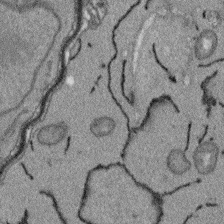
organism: Arabidopsis thaliana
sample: Root tip